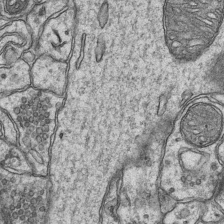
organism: Mouse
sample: CA1 Hippocampus